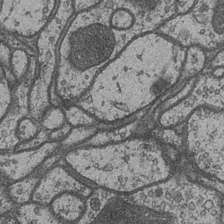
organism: Drosophila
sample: Optic medulla